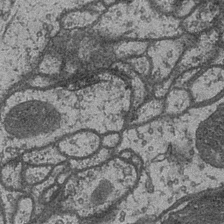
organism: Drosophila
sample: Optic medulla